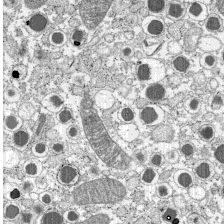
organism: C57BL Mouse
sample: Pancreatic islet